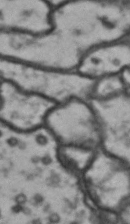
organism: Drosophila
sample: Brain